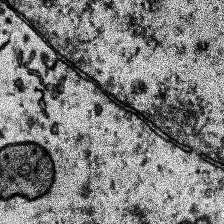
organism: Human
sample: Temporal Lobe